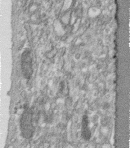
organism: Human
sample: Centriole in fibroblast cells